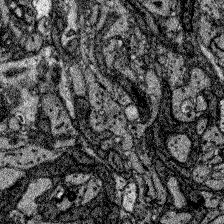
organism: Zebrafish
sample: Larval olfactory bulb